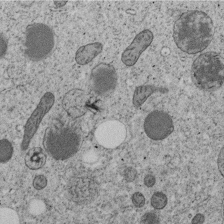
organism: C. elegans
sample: C. elegans embryo early stage